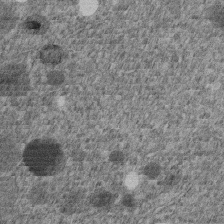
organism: C. elegans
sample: C. elegans embryo early stage